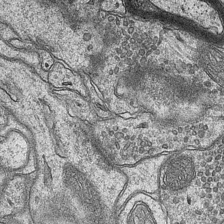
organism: Mouse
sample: CA1 Hippocampus